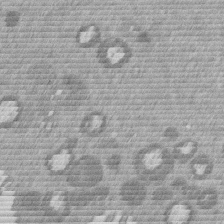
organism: Mouse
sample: Dividing mouse embryo 1 cell stage